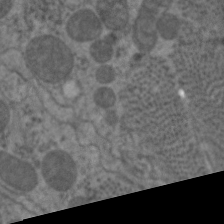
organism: C. elegans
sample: Pharynx